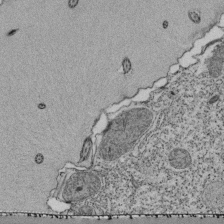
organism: Tetrahymena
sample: Cilia in tetrahymena